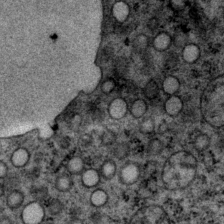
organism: P. pacificus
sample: Pharynx